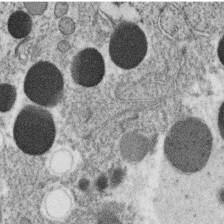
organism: C. elegans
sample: C. elegans oocyte; sperm cells